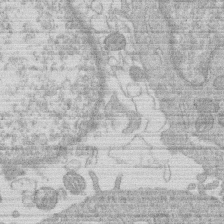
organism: Human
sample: Macrophage cells